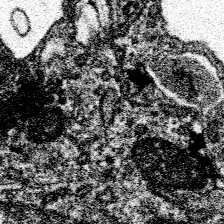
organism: Spongilla lacustris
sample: Neuroid cell